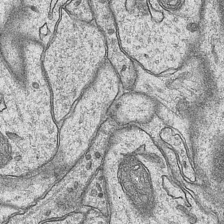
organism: Mouse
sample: CA1 Hippocampus